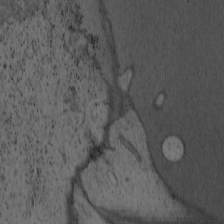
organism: African green monkey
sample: COS-7 cells